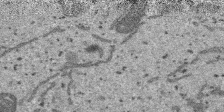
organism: Human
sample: Lung epithelial cells infected with SARS-CoV-2